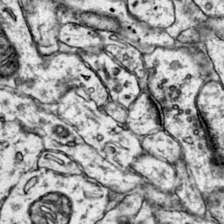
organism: Mouse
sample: Primary visual cortex